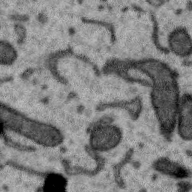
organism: Zebra finch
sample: Brain